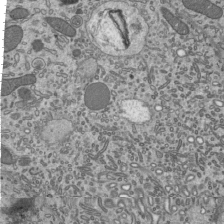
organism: Mouse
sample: Mouse epididymis efferent ductule cilia